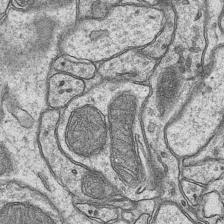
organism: Mouse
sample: CA1 Hippocampus